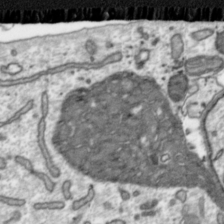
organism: Toxoplasma gondii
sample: Parasites in a vacuole inside a host cell